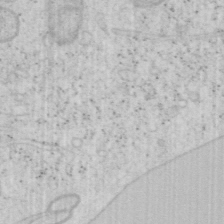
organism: Human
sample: HeLa cells